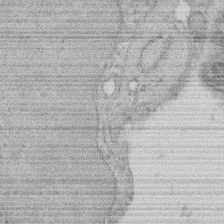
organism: Rat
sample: Salivary granule